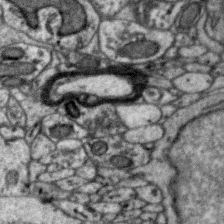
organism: Zebra finch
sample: Brain